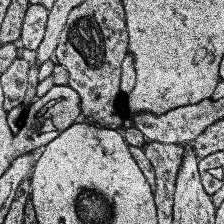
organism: Human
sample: Temporal Lobe